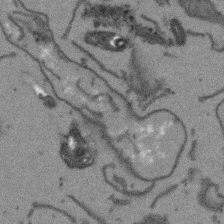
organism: Arabidopsis thaliana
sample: Root tip